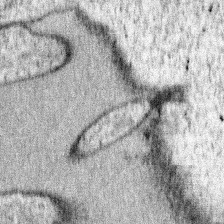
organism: Human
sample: HeLa cells